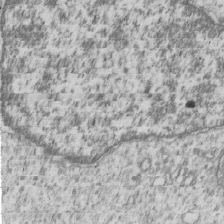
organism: Human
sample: MDA-MB-231 cells